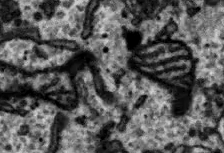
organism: Human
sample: HeLa cells